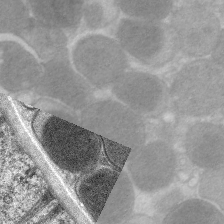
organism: C. elegans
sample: Pharynx